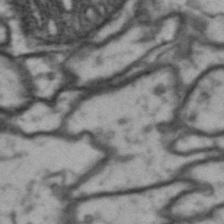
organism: Drosophila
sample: Brain